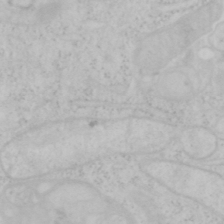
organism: Mouse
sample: OT-I killer T cells with ID8 ovarian cancer cells